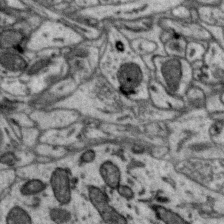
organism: Zebra finch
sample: Brain